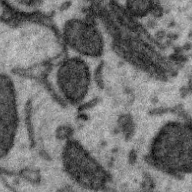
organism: Zebra finch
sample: Brain